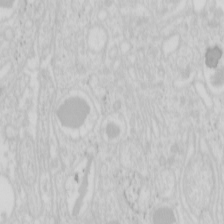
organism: Mouse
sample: Pancreas